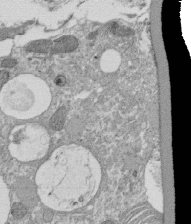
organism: Tetrahymena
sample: Cilia in tetrahymena